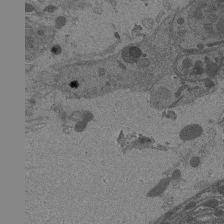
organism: Drosophila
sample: Antenna